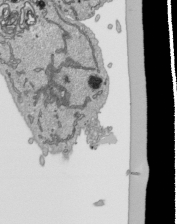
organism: Human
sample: Mitochondria in HCT116 cells